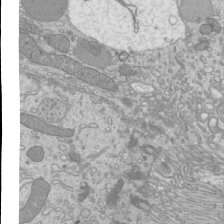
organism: Mouse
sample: Cilia; mouse epididymis